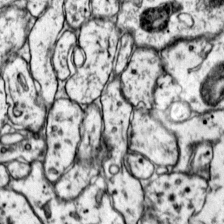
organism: Mouse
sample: Primary visual cortex